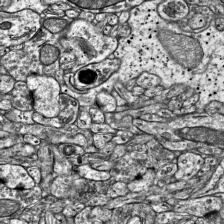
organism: Mouse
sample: Visual Cortex